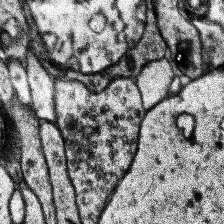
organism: Human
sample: Temporal Lobe